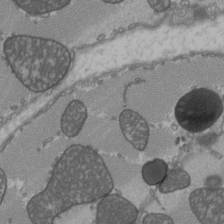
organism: C57BL Mouse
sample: Heart